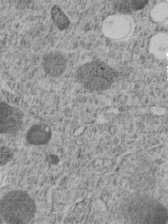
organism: C. elegans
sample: C. elegans embryo early stage